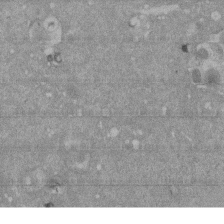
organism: Mouse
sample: ED-1 cell nuclei; centrioles